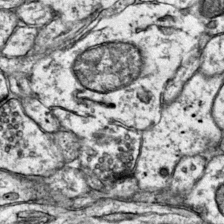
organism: Mouse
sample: Primary visual cortex